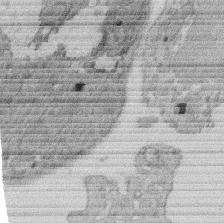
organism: Rat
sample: Salivary granule